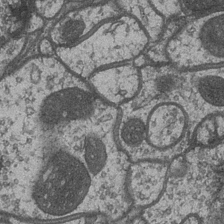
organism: Drosophila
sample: Optic medulla